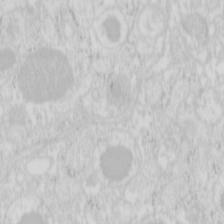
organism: Mouse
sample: Pancreas